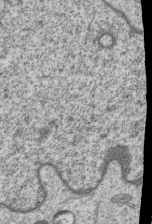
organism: Human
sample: MDA-MB-231 cells